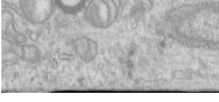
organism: Human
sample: Centriole in RPE cells